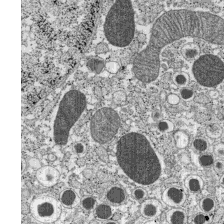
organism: C57BL Mouse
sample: Pancreatic islet